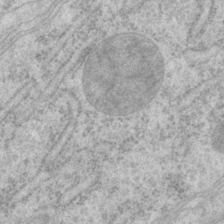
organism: P. pacificus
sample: Pharynx